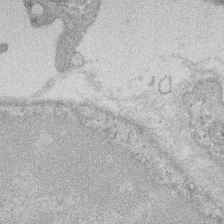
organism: Rat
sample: Salivary granule